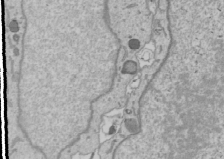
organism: Human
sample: Mitochondria in U2OS cells